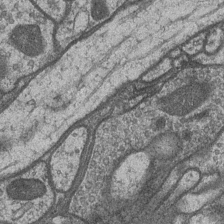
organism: Drosophila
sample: Optic medulla